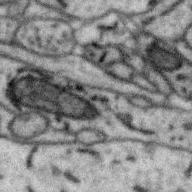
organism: Zebra finch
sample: Brain